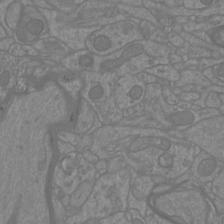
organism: Mouse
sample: Cortical neurons